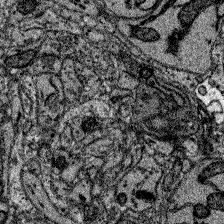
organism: Zebrafish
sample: Larval olfactory bulb